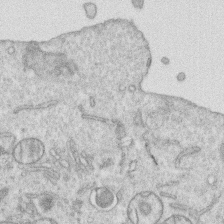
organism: Human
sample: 1205lu cells